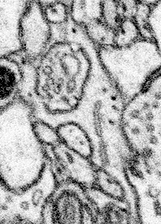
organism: Mouse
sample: Somatosensory cortex neuropil